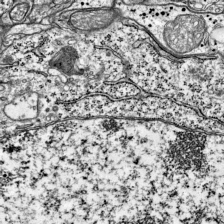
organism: Mouse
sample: Visual Cortex